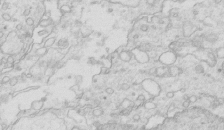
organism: Mouse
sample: Multiciliated cells